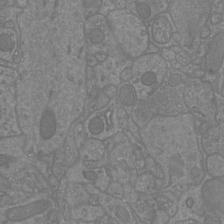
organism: Mouse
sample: Cortical neurons